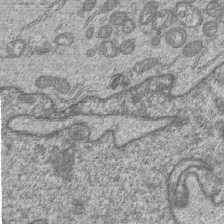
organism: Human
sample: MDA-MB-231 cells